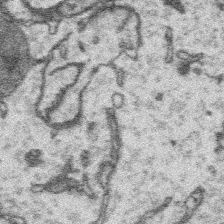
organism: Platynereis dumerilii